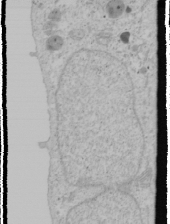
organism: Human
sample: Mitochondria in U2OS cells